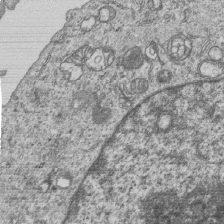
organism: Human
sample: MDA-MB-231 cells